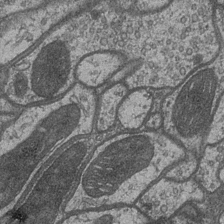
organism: Drosophila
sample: Optic medulla